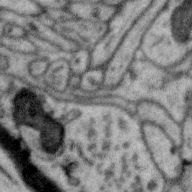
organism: Zebra finch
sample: Brain